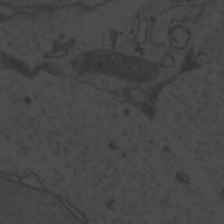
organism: Zebrafish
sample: Macrophage infected with Toxoplasma gondii